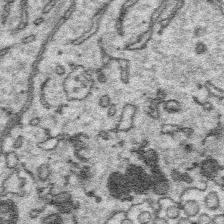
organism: Platynereis dumerilii